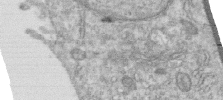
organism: Human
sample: Centriole in RPE cells